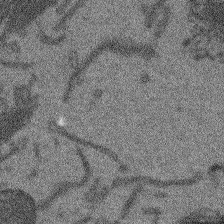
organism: Arabidopsis thaliana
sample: Root tip